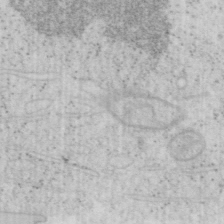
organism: Human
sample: HeLa cells